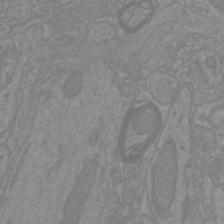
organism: Mouse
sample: Cortical neurons